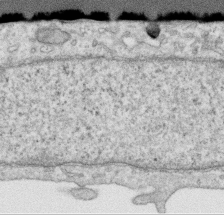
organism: Human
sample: Centriole in RPE cells